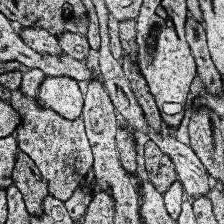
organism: Human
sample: Temporal Lobe